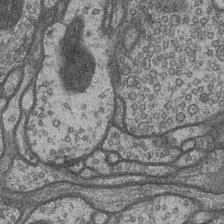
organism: Drosophila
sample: Optic medulla